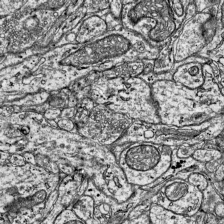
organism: Mouse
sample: Visual Cortex